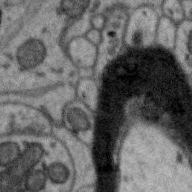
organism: Zebra finch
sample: Brain